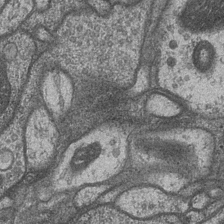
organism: Drosophila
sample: Optic medulla